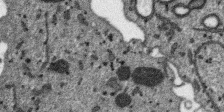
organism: Human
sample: Lung epithelial cells infected with SARS-CoV-2